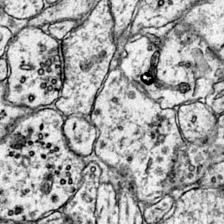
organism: Mouse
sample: Primary visual cortex